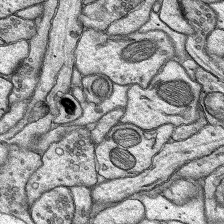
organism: Rat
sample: Hippocampus